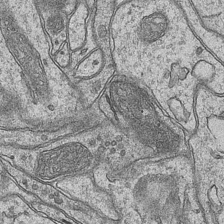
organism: Mouse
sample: CA1 Hippocampus